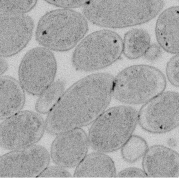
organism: E. coli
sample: Bacterial nucleoid